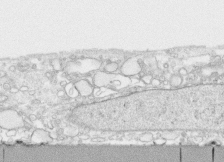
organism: Human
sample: CRL-1474